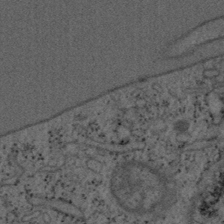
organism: Human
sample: HeLa cells